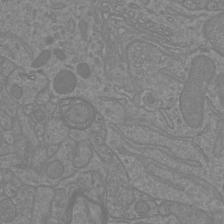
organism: Mouse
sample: Cortical neurons